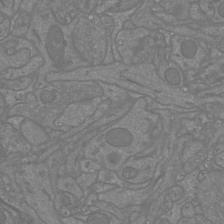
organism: Mouse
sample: Cortical neurons